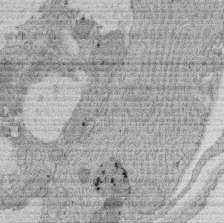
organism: Rat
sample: Salivary granule